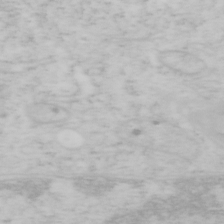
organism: Mouse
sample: OT-I killer T cells with ID8 ovarian cancer cells